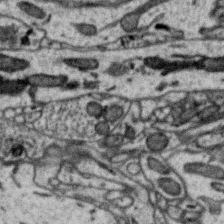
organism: Zebra finch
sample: Brain